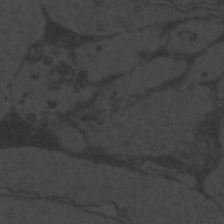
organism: Zebrafish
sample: Macrophage infected with Toxoplasma gondii